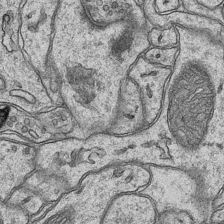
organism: Mouse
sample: CA1 Hippocampus